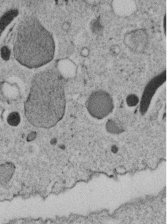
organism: C. elegans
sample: C. elegans embryo early stage